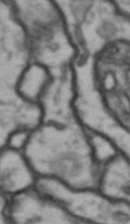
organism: Drosophila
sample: Brain